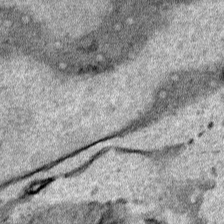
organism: Human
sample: Mitochondria in HCT116 cells